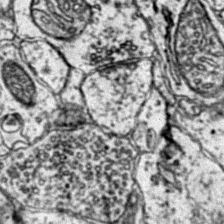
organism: Mouse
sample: Primary visual cortex